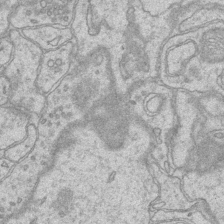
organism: Mouse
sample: CA1 Hippocampus